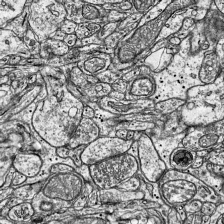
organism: Mouse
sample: Visual Cortex